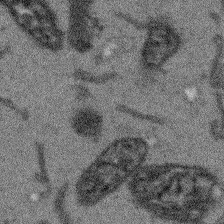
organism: Arabidopsis thaliana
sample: Root tip